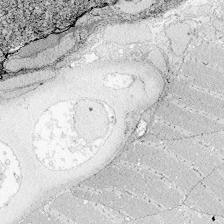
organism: Zebrafish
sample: Whole-Brain